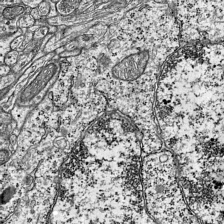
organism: Mouse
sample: Visual Cortex